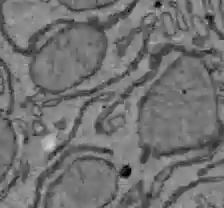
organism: C57BL Mouse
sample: Liver